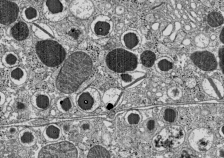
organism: C57BL Mouse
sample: Pancreatic islet